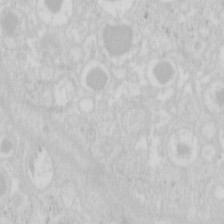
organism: Mouse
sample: Pancreas